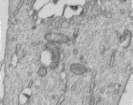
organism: Human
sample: Centriole in RPE cells